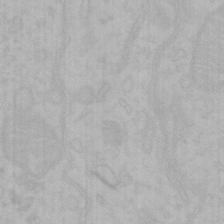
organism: Mouse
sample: Choroid plexus